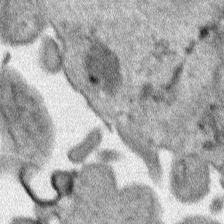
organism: Human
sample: Mitochondria in HCT116 cells